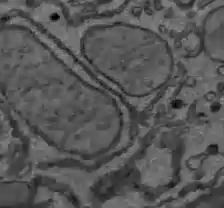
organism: C57BL Mouse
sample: Liver